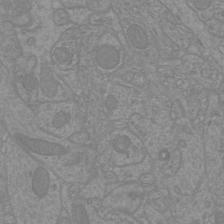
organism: Mouse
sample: Cortical neurons